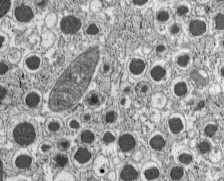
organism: C57BL Mouse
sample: Pancreatic islet